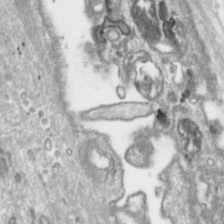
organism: Toxoplasma gondii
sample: Parasites in a vacuole inside a host cell